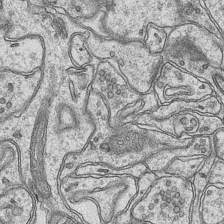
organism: Mouse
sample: CA1 Hippocampus